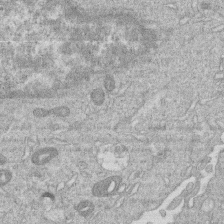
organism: Human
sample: Macrophage cells